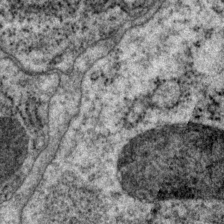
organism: P. pacificus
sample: Pharynx